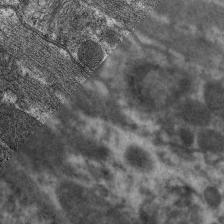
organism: C. elegans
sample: Pharynx